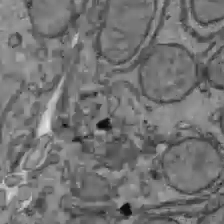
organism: C57BL Mouse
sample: Liver